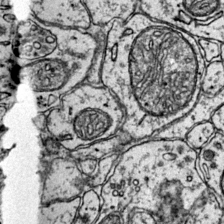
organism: Mouse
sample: Primary visual cortex